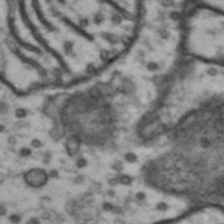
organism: Drosophila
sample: Brain